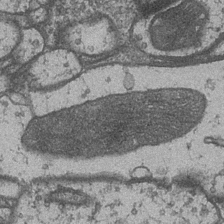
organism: Drosophila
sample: Optic medulla